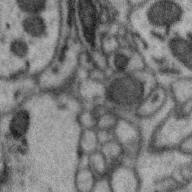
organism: Zebra finch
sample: Brain